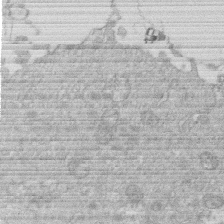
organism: Human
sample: Macrophage cells